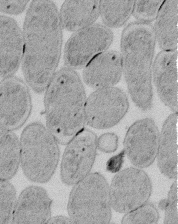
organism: E. coli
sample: Bacterial nucleoid